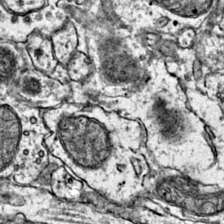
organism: Mouse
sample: Primary visual cortex